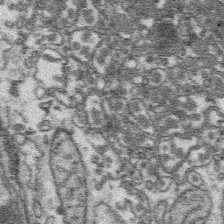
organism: Platynereis dumerilii